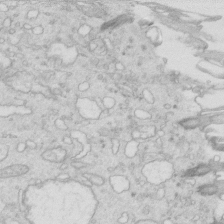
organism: Mouse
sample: Multiciliated cells